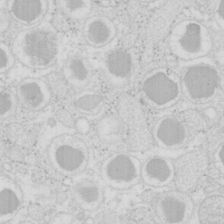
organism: Mouse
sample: Pancreas